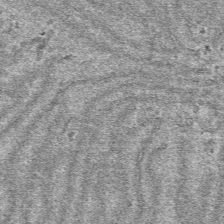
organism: Mouse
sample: Mouse hepatocytes